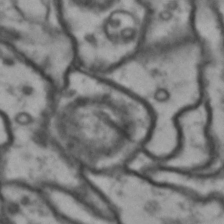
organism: Drosophila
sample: Brain